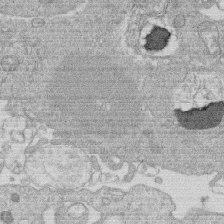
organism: Human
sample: Macrophage cells